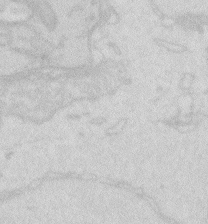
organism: Zebrafish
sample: Macrophage